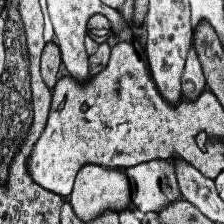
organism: Human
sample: Temporal Lobe